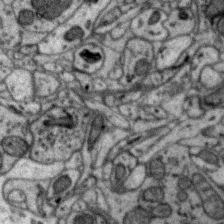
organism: Zebra finch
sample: Brain